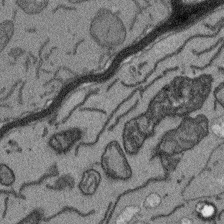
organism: Arabidopsis thaliana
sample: Root tip